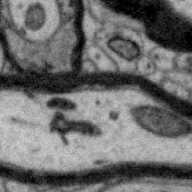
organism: Zebra finch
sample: Brain